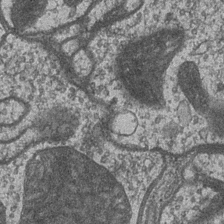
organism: Drosophila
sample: Optic medulla